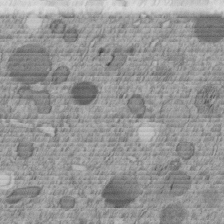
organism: C. elegans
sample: C. elegans embryo early stage